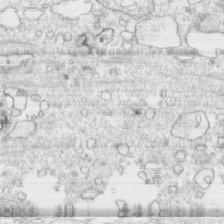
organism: Human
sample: CRL-1474